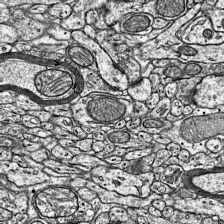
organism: Mouse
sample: Visual Cortex